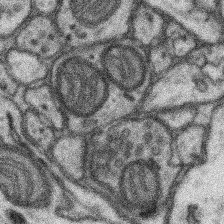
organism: Mouse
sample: Somatosensory cortex neuropil